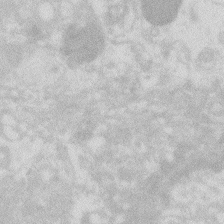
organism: Zebrafish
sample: Macrophage